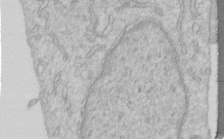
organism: Human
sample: Centriole in RPE cells